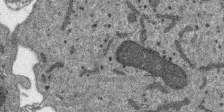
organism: Human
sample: Lung epithelial cells infected with SARS-CoV-2